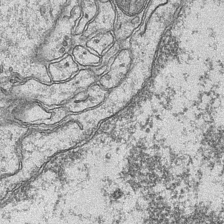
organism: Mouse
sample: CA1 Hippocampus